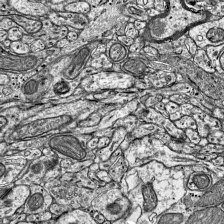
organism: Mouse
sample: Visual Cortex